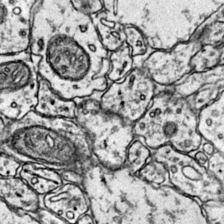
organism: Mouse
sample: Primary visual cortex